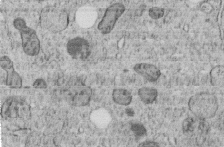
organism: C. elegans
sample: C. elegans embryo early stage